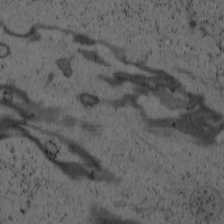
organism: African green monkey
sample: COS-7 cells